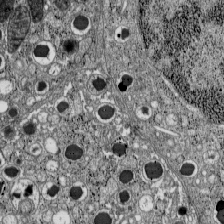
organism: C57BL Mouse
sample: Pancreatic islet